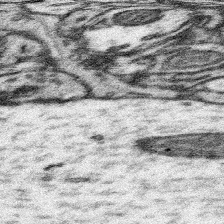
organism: Mouse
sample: Somatosensory cortex neuropil